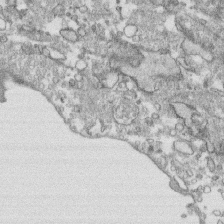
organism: Human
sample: CRL-1474